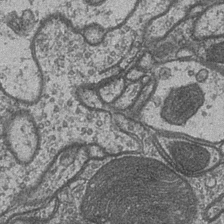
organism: Drosophila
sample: Optic medulla